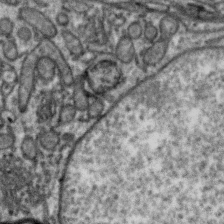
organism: Zebra finch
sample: Brain